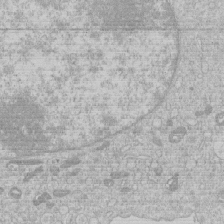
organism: Human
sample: Macrophage cells